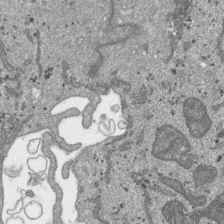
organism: Human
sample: Lung epithelial cells infected with SARS-CoV-2